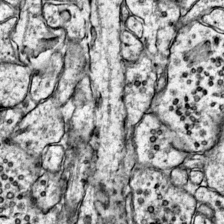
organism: Mouse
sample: Primary visual cortex